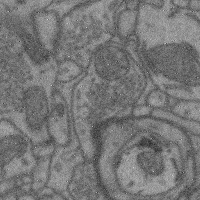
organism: Mouse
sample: Cerebral cortex